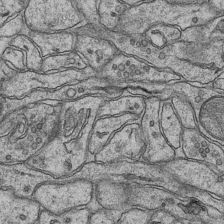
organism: Mouse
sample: CA1 Hippocampus